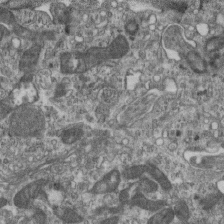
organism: Mouse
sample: Centriole in ependymal cells